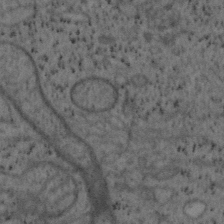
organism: Human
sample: HeLa cells